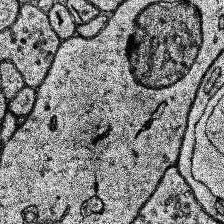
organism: Human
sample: Temporal Lobe